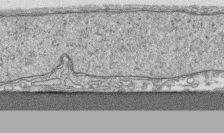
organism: Human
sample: CRL-1474